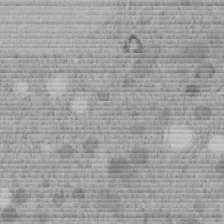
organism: C. elegans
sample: C. elegans embryo early stage